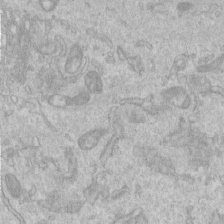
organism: Human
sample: Centriole in RPE cells